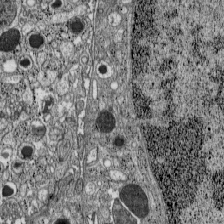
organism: C57BL Mouse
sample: Pancreatic islet